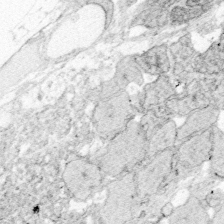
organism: Zebrafish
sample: Whole-Brain